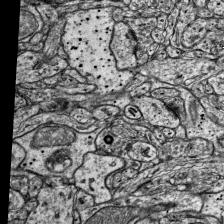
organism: Mouse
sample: Visual Cortex